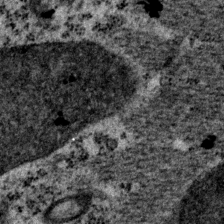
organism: P. pacificus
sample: Pharynx